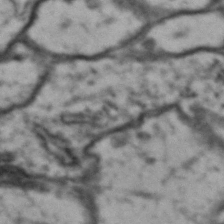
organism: Drosophila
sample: Brain